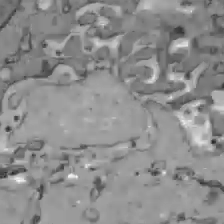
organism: C57BL Mouse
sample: Liver